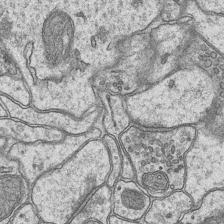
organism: Mouse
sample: CA1 Hippocampus